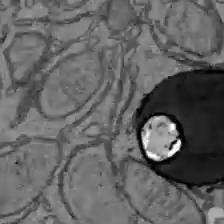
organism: C57BL Mouse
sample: Liver